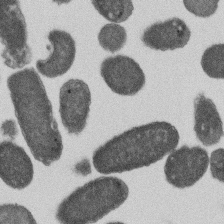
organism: E. coli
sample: Bacterial nucleoid